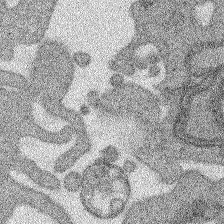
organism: Human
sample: HeLa cells